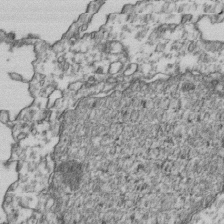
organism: Human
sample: Activated Jurkat CD4+ T cells